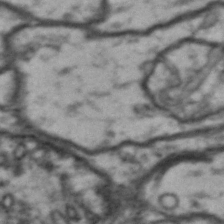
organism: Drosophila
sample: Brain